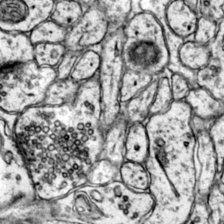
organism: Mouse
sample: Primary visual cortex